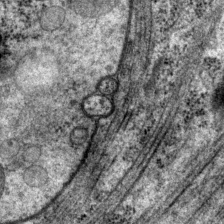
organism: P. pacificus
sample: Pharynx